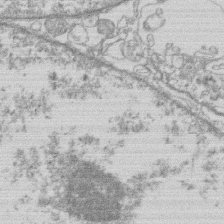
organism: Human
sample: Macrophage cells